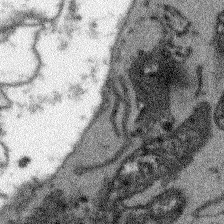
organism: Arabidopsis thaliana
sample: Root tip